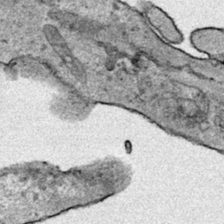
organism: Human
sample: Mitochondria in HCT116 cells